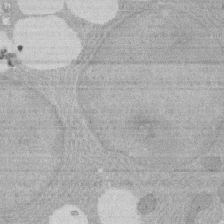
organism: Rat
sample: Salivary granule